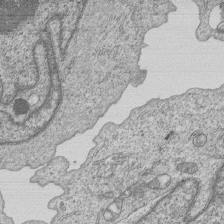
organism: Human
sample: MDA-MB-231 cells